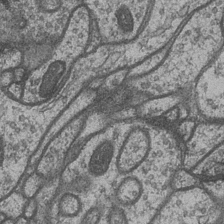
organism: Drosophila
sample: Optic medulla